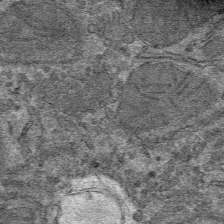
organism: Mouse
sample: Mouse hepatocytes